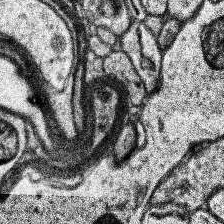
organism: Human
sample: Temporal Lobe